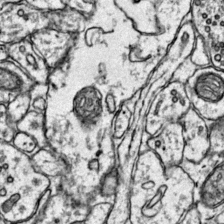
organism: Mouse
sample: Primary visual cortex